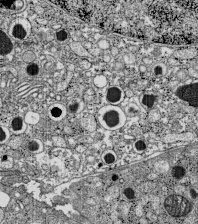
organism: C57BL Mouse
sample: Pancreatic islet